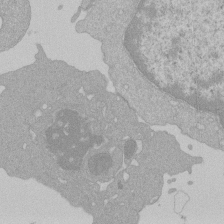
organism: Mouse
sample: Activated Pmel transgenic CD8+ T Cells